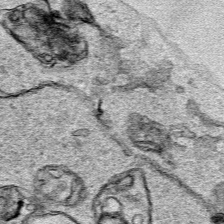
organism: Human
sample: Mitochondria in HCT116 cells